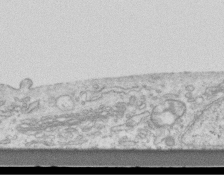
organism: Mouse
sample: Centriole in ependymal cells